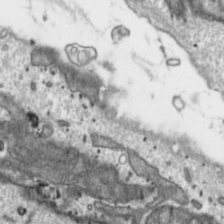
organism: Toxoplasma gondii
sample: Parasites in a vacuole inside a host cell